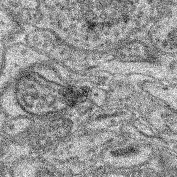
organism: Mouse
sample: Retina